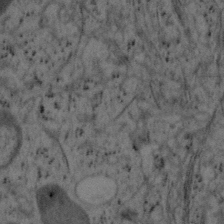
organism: Human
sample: HeLa cells